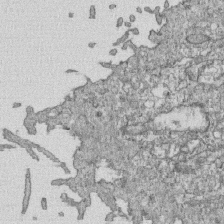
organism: Human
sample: HeLa cell HIV synapse